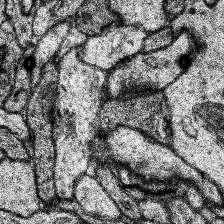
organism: Human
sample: Temporal Lobe